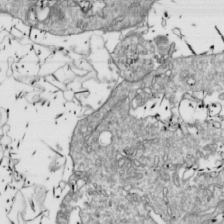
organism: Drosophila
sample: Cell division; meiosis; drosophila spermatocytes